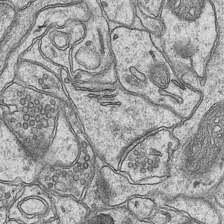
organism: Mouse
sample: CA1 Hippocampus